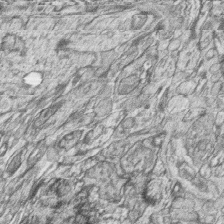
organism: Zebrafish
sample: synaptic ribbons in rod cells and cone cells